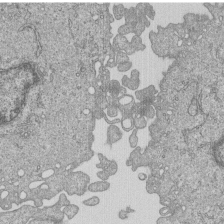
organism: Human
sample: MDA-MB-231 cells